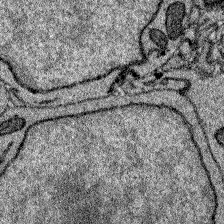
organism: Zebrafish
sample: Larval olfactory bulb